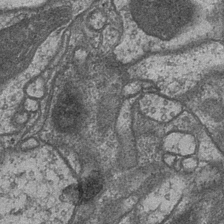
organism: Drosophila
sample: Optic medulla